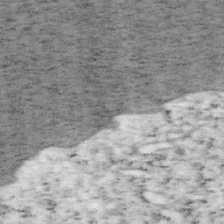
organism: Mouse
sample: OT-I killer T cells with ID8 ovarian cancer cells